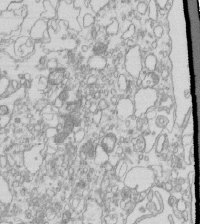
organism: Mouse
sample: Macrophages